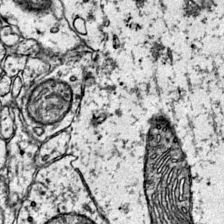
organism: Mouse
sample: Primary visual cortex